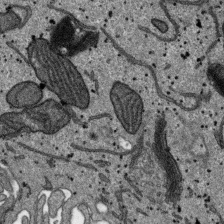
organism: Human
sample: Lung epithelial cells, uninfected (mock) control